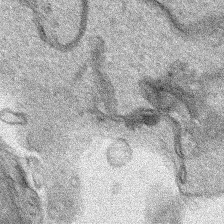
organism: Human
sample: Mitochondria in HCT116 cells